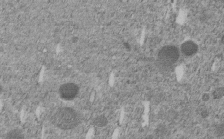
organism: C. elegans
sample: C. elegans embryo early stage